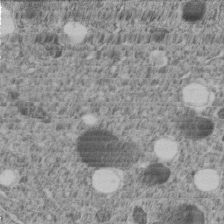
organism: C. elegans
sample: C. elegans embryo early stage